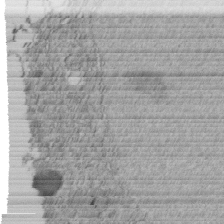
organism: C. elegans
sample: C. elegans embryo early stage